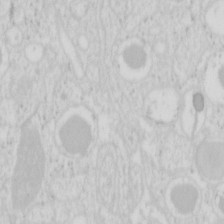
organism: Mouse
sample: Pancreas